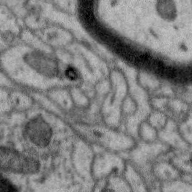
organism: Zebra finch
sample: Brain